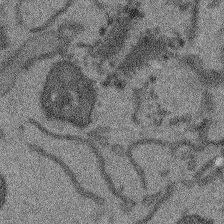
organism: Arabidopsis thaliana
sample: Root tip